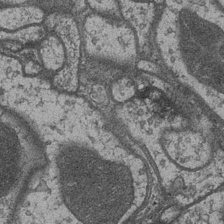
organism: Drosophila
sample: Optic medulla